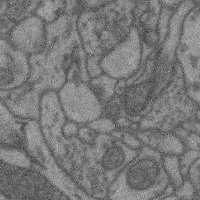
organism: Mouse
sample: Cerebral cortex